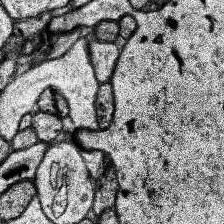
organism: Human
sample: Temporal Lobe